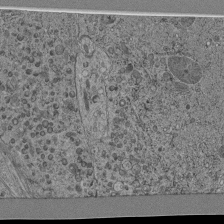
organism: C. elegans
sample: C. elegans pharynx